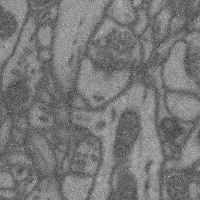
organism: Mouse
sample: Cerebral cortex